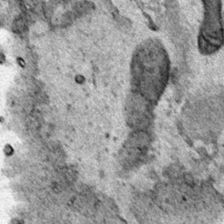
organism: Human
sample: Mitochondria in HCT116 cells